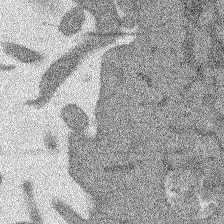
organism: Human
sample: HeLa cells